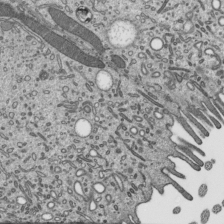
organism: Mouse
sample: Mouse epididymis efferent ductule cilia